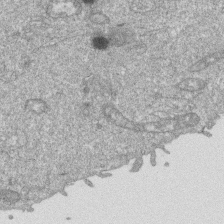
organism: Human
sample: HeLa cell HIV synapse